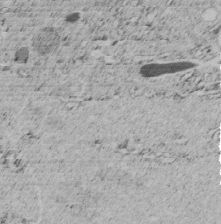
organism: C. elegans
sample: C. elegans embryo early stage